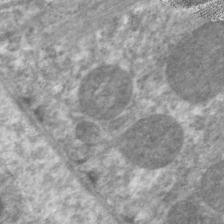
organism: C. elegans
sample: Pharynx